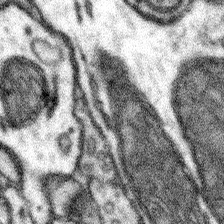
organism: Mouse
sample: Somatosensory cortex neuropil